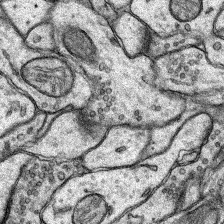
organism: Rat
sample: Hippocampus